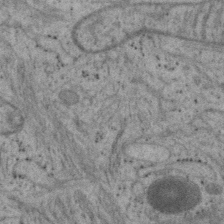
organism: Human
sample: HeLa cells